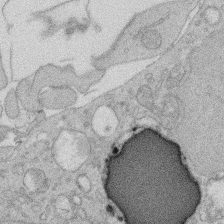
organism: Rat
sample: Salivary granule